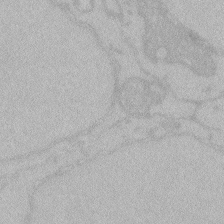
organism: Zebrafish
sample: Macrophage infected with Toxoplasma gondii